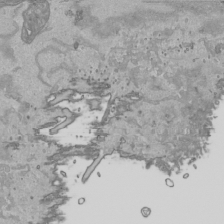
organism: Human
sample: Mitochondria in HCT116 cells